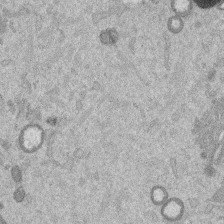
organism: Mouse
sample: Dividing mouse embryo 1 cell stage